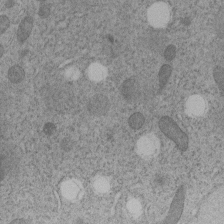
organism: C. elegans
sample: C. elegans embryo early stage